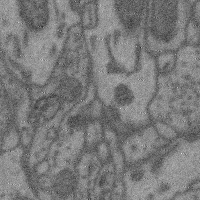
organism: Mouse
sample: Cerebral cortex